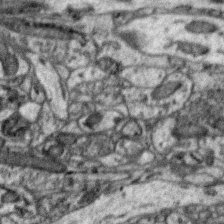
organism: Zebra finch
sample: Brain